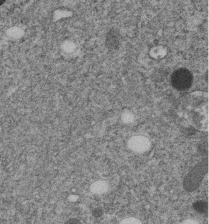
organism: C. elegans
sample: C. elegans embryo early stage